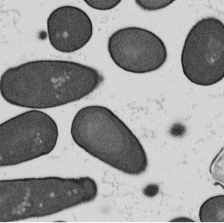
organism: B. subtilis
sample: Bacterial spore